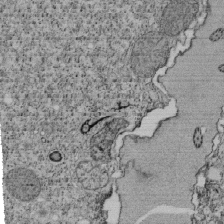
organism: Tetrahymena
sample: Cilia in tetrahymena